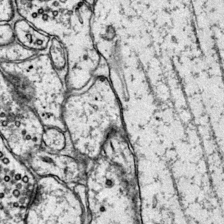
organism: Mouse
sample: Primary visual cortex